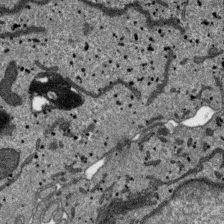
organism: Human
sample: Lung epithelial cells, uninfected (mock) control